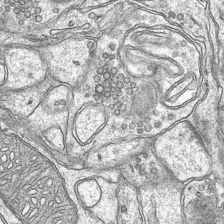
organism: Mouse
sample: CA1 Hippocampus